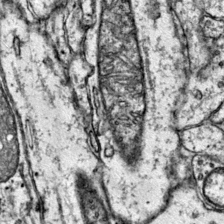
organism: Mouse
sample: Primary visual cortex